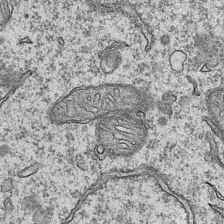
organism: Mouse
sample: CA1 Hippocampus